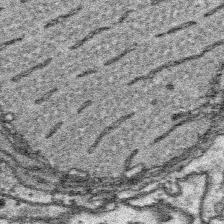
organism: Platynereis dumerilii